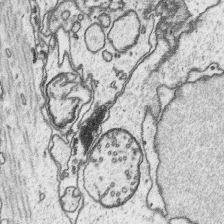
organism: Platynereis dumerilii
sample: Parapodia